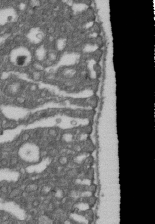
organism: Drosophila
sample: Nephrocyte